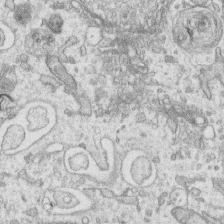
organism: Human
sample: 1205lu cells